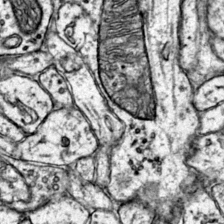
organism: Mouse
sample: Primary visual cortex